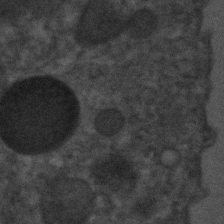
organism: C. elegans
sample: C. elegans embryo